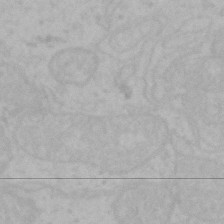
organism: Mouse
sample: Choroid plexus